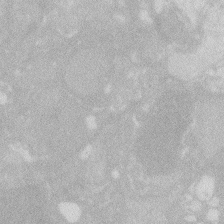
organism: Zebrafish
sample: Macrophage